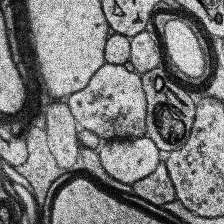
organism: Human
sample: Temporal Lobe